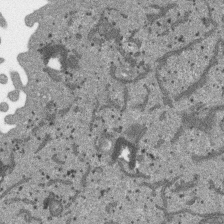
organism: Human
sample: Lung epithelial cells infected with SARS-CoV-2